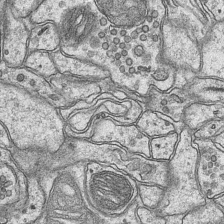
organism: Mouse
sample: CA1 Hippocampus